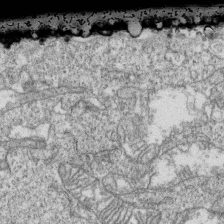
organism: Human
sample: HeLa cell HIV synapse